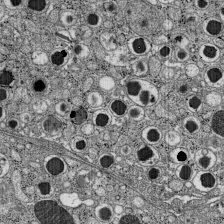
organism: C57BL Mouse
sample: Pancreatic islet